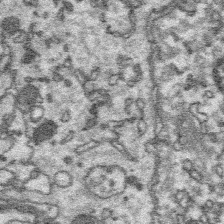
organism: Platynereis dumerilii